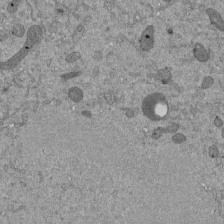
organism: Mouse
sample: ED-1 cell nuclei; centrioles